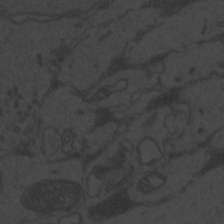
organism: Zebrafish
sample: Macrophage infected with Toxoplasma gondii